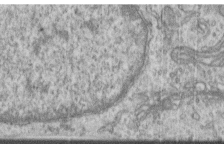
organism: Human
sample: Centriole in RPE cells